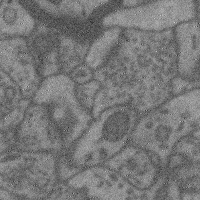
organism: Mouse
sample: Cerebral cortex